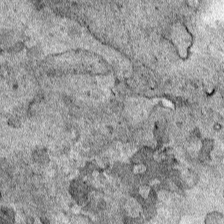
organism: Human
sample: Mitochondria in HCT116 cells